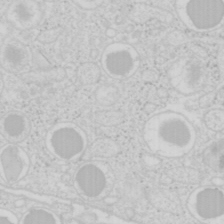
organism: Mouse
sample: Pancreas